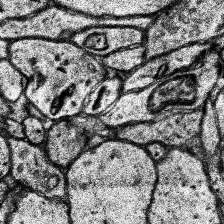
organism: Human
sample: Temporal Lobe